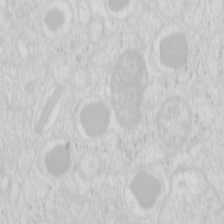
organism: Mouse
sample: Pancreas